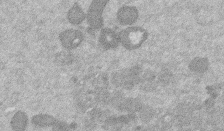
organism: Mouse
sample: Dividing mouse embryo 1 cell stage